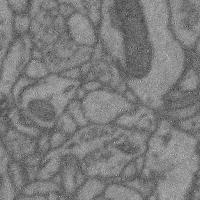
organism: Mouse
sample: Cerebral cortex